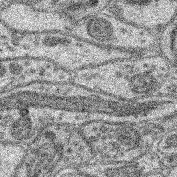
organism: Mouse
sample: Retina